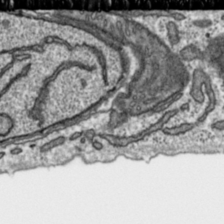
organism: Toxoplasma gondii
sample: Parasites in a vacuole inside a host cell